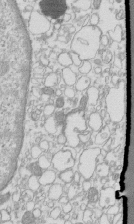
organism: Mouse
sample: Macrophages